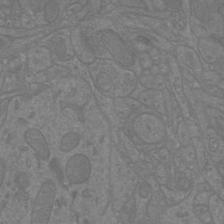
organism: Mouse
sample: Cortical neurons